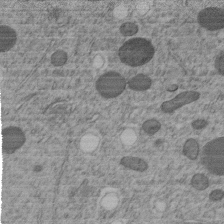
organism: C. elegans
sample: C. elegans embryo early stage